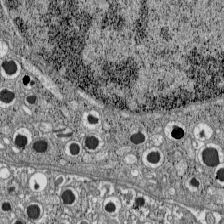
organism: C57BL Mouse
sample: Pancreatic islet